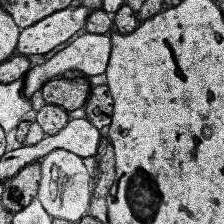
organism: Human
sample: Temporal Lobe